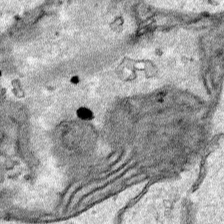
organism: Human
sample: Mitochondria in HCT116 cells